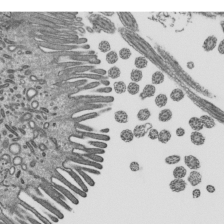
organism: Mouse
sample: Mouse epididymis efferent ductule cilia